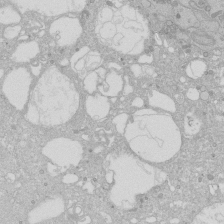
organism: Human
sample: Caco-2 cells